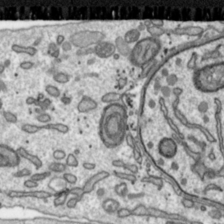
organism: Toxoplasma gondii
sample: Parasites in a vacuole inside a host cell